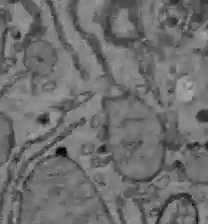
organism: C57BL Mouse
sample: Liver